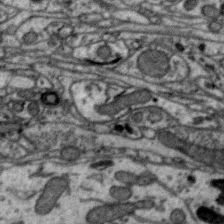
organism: Zebra finch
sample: Brain